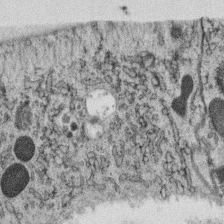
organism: C. elegans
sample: C. elegans oocyte; sperm cells